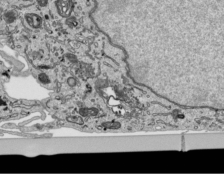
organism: Human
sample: Mitochondria in HCT116 cells